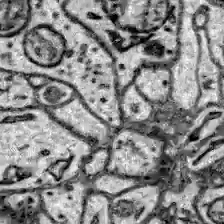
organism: Zebrafish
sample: Brain